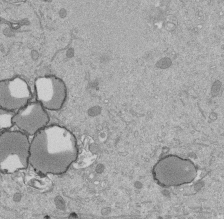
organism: Mouse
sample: ED-1 cell nuclei; centrioles